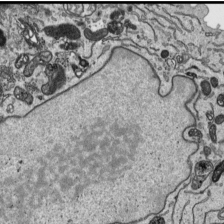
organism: Human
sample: Mitochondria in HCT116 cells